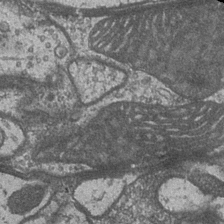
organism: Drosophila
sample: Optic medulla